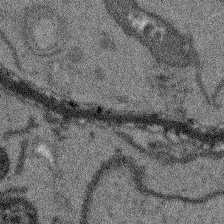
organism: Arabidopsis thaliana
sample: Root tip